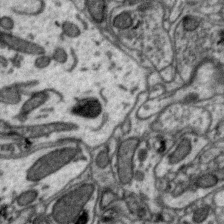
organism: Zebra finch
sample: Brain